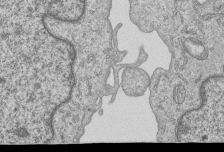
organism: Human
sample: MDA-MB-231 cells